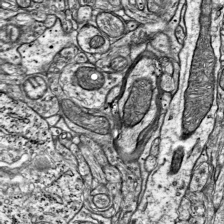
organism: Mouse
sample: Visual Cortex